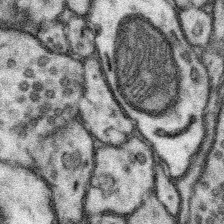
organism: Mouse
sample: Somatosensory cortex neuropil